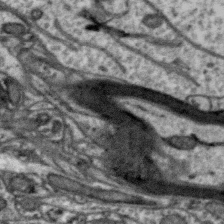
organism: Zebra finch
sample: Brain